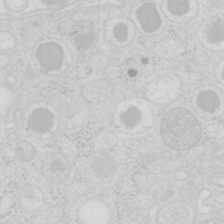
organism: Mouse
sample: Pancreas